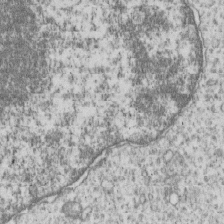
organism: Human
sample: MDA-MB-231 cells